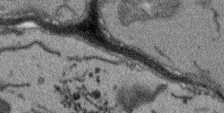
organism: Arabidopsis thaliana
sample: Root tip